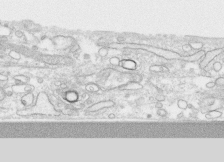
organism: Human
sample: CRL-1474